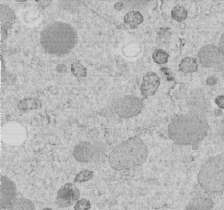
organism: C. elegans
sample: C. elegans embryo early stage